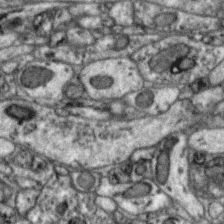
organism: Zebra finch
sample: Brain